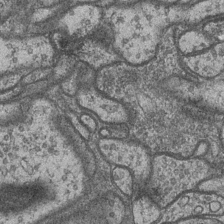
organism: Drosophila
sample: Optic medulla